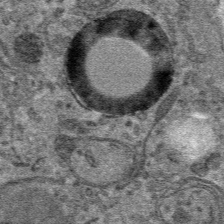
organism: Mouse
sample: Mouse hepatocytes